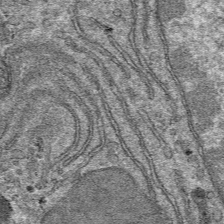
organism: Mouse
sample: Mouse hepatocytes